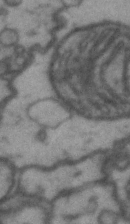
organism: Drosophila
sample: Brain